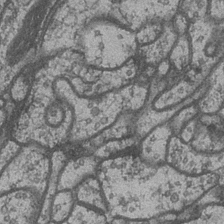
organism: Drosophila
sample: Optic medulla